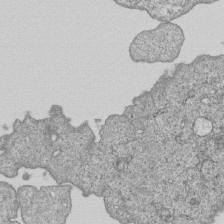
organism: Human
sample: MDA-MB-231 cells